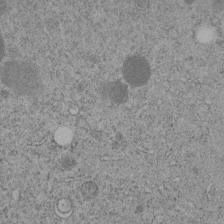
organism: C. elegans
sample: C. elegans embryo early stage